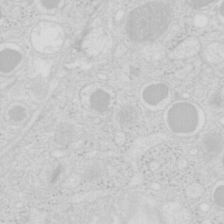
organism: Mouse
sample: Pancreas